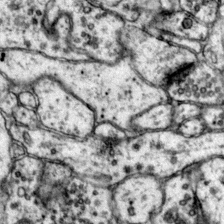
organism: Mouse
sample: Primary visual cortex